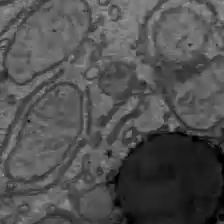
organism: C57BL Mouse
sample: Liver